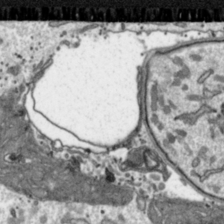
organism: Toxoplasma gondii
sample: Parasites in a vacuole inside a host cell